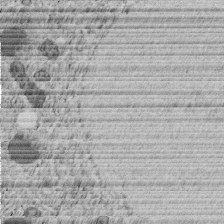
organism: C. elegans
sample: C. elegans embryo early stage